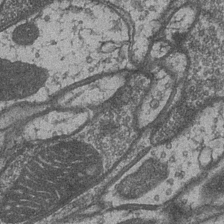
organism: Drosophila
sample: Optic medulla